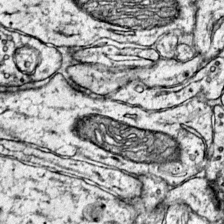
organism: Mouse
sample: Primary visual cortex